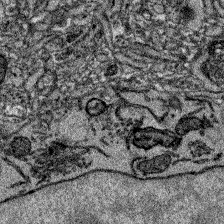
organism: Zebrafish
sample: Larval olfactory bulb